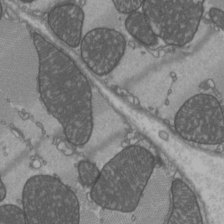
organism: C57BL Mouse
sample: Heart